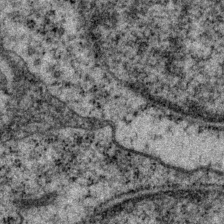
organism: P. pacificus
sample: Pharynx